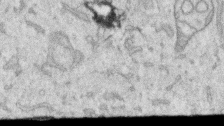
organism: Human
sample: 1205lu cells